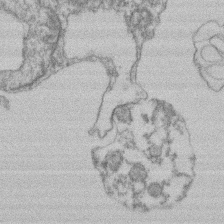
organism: Mouse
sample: T cell stromal cell synapse